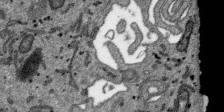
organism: Human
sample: Lung epithelial cells, uninfected (mock) control